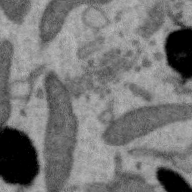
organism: Zebra finch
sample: Brain